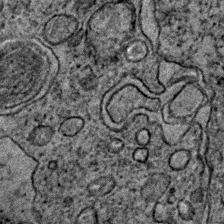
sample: Trachea